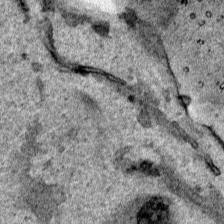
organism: Human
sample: Mitochondria in HCT116 cells